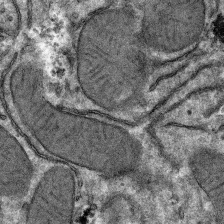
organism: Mouse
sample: Mouse hepatocytes